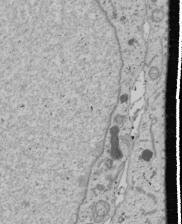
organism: Human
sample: Mitochondria in U2OS cells